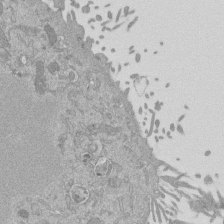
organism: Mouse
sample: ED-1 cell nuclei; centrioles